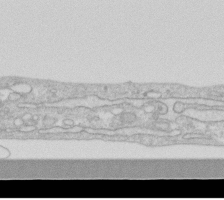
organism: Human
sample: Fibroblast cells